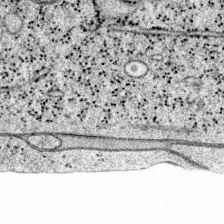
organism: Human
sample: HeLa cells